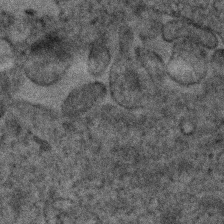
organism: Human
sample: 1205lu cells